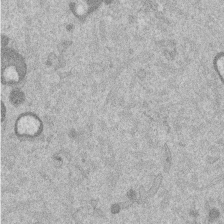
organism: Mouse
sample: Dividing mouse embryo 1 cell stage